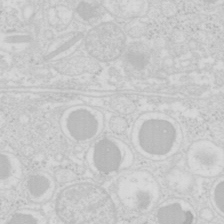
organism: Mouse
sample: Pancreas